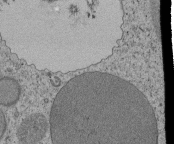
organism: Tetrahymena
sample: Cilia in tetrahymena